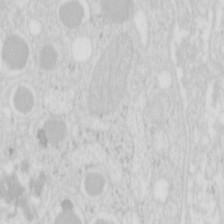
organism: Mouse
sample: Pancreas